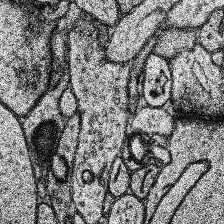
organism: Human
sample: Temporal Lobe